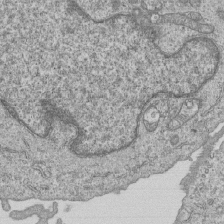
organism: Human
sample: MDA-MB-231 cells